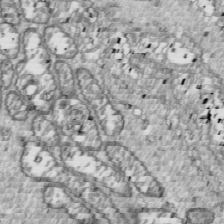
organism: Drosophila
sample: Cell division; meiosis; drosophila spermatocytes